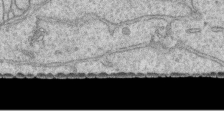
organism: Human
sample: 1205lu cells